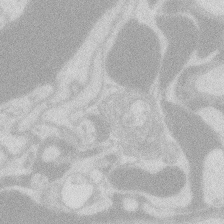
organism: Zebrafish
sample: Macrophage